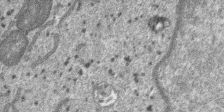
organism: Human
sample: Lung epithelial cells infected with SARS-CoV-2